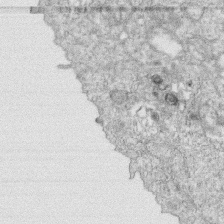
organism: Human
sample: HeLa cell HIV synapse